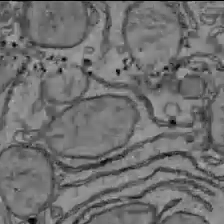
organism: C57BL Mouse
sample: Liver